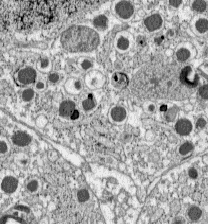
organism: C57BL Mouse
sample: Pancreatic islet